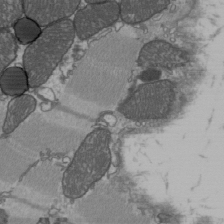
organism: C57BL Mouse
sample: Heart